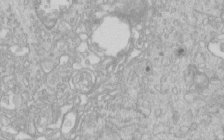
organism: Human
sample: Centriole in RPE cells